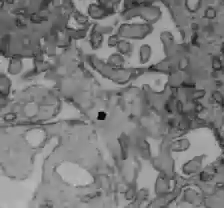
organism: C57BL Mouse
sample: Liver